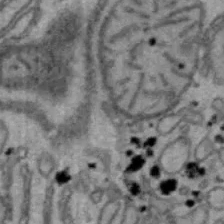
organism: Mouse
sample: Liver